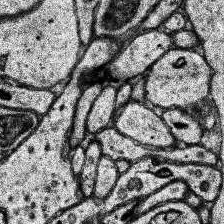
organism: Human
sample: Temporal Lobe